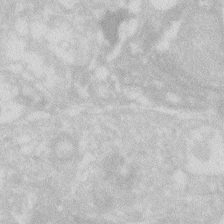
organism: Zebrafish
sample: Macrophage